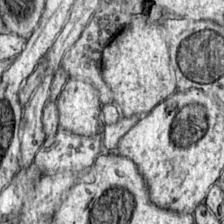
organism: Mouse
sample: Primary visual cortex